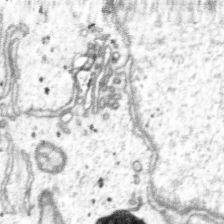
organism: Human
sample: HeLa cells